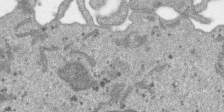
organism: Human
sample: Lung epithelial cells infected with SARS-CoV-2